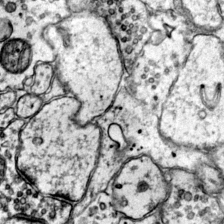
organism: Mouse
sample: Primary visual cortex